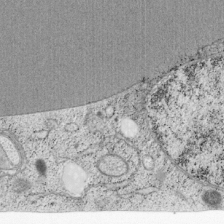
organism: African green monkey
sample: COS-7 cells